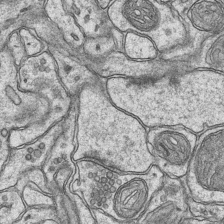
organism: Mouse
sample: CA1 Hippocampus